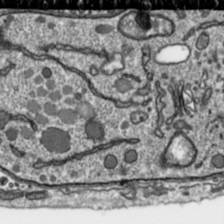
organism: Toxoplasma gondii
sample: Parasites in a vacuole inside a host cell